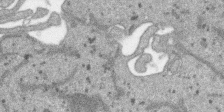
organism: Human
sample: Lung epithelial cells infected with SARS-CoV-2